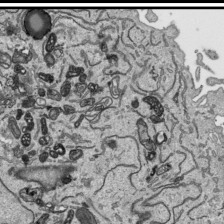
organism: Human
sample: Mitochondria in HCT116 cells